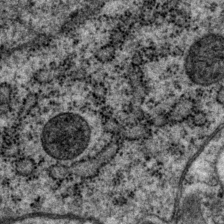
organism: P. pacificus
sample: Pharynx